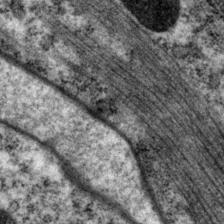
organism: P. pacificus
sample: Pharynx